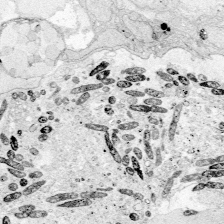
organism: Zebrafish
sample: Whole-Brain